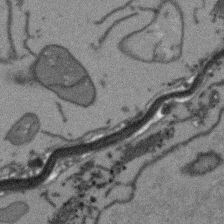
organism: Arabidopsis thaliana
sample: Root tip